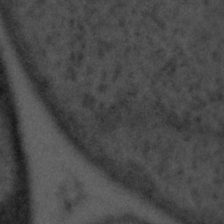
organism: Tuwongella immobilis